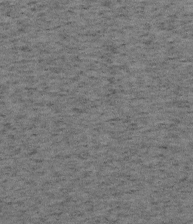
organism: Mouse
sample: OT-I killer T cells with ID8 ovarian cancer cells